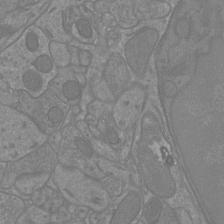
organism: Mouse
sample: Cortical neurons